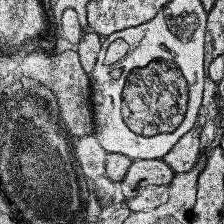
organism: Human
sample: Temporal Lobe